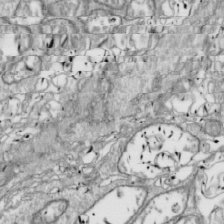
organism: Drosophila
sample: Cell division; meiosis; drosophila spermatocytes